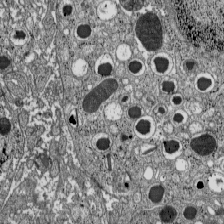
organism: C57BL Mouse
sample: Pancreatic islet